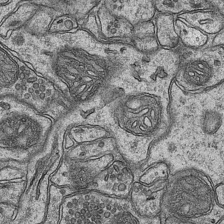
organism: Mouse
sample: CA1 Hippocampus